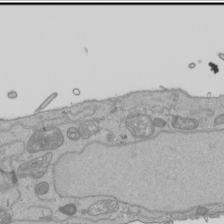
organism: Human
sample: Mitochondria in HCT116 cells